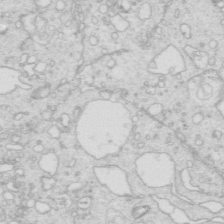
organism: Mouse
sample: Multiciliated cells